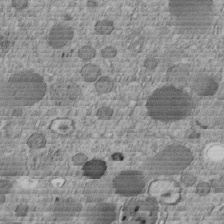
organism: C. elegans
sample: C. elegans embryo early stage